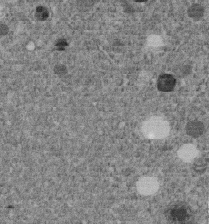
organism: C. elegans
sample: C. elegans embryo early stage